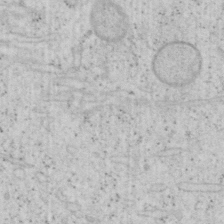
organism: Human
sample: HeLa cells